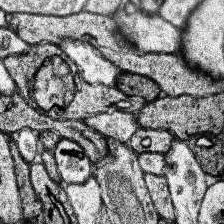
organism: Human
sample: Temporal Lobe